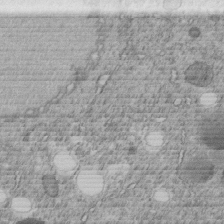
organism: C. elegans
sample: C. elegans embryo early stage